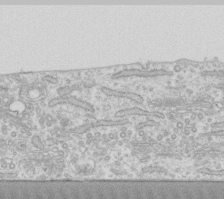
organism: Human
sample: Fibroblast cells